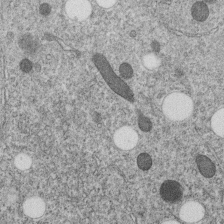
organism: C. elegans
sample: C. elegans embryo early stage